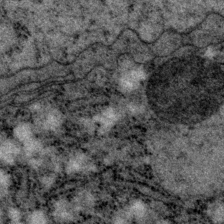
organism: P. pacificus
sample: Pharynx